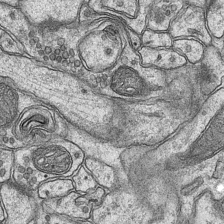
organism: Mouse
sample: CA1 Hippocampus